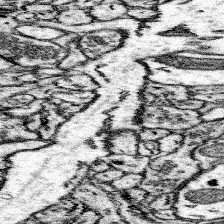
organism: Mouse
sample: Somatosensory cortex neuropil